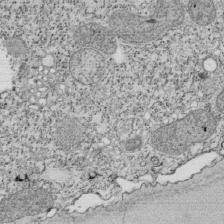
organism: Tetrahymena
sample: Cilia in tetrahymena